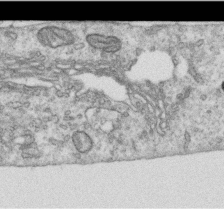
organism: Human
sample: Centriole in RPE cells